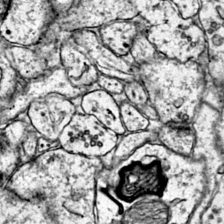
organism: Mouse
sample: Primary visual cortex